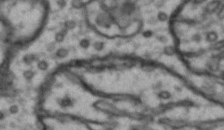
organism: Drosophila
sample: Brain